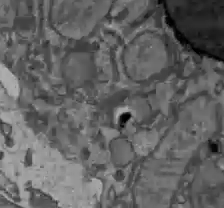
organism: C57BL Mouse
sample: Liver